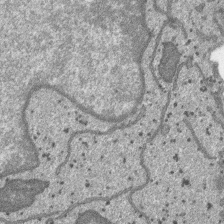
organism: Human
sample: Lung epithelial cells infected with SARS-CoV-2